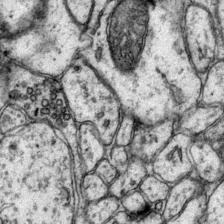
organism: Mouse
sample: Primary visual cortex